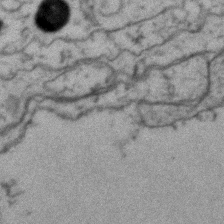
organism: Zebrafish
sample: Zebrafish embryo